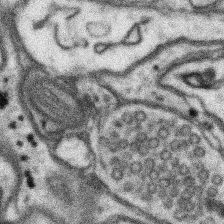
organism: Mouse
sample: Somatosensory cortex neuropil